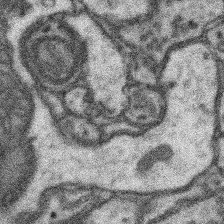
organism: Mouse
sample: Somatosensory cortex neuropil